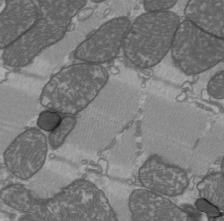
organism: C57BL Mouse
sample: Heart